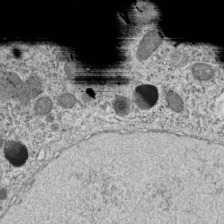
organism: C. elegans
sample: C. elegans embryo early stage